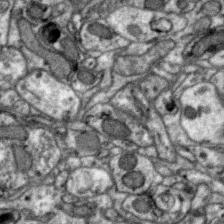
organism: Zebra finch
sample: Brain